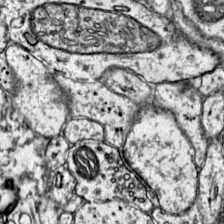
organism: Mouse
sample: Primary visual cortex